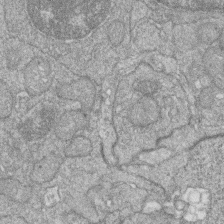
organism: Zebrafish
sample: Cilia; retinal pigment epithelium